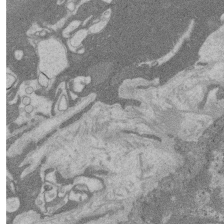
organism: Rat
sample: Salivary granule